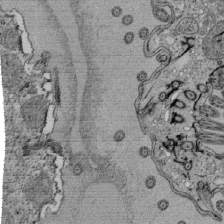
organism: Tetrahymena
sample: Cilia in tetrahymena